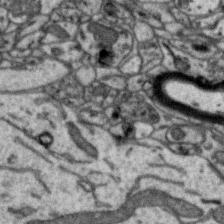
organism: Zebra finch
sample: Brain